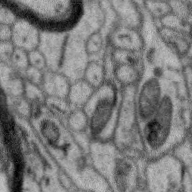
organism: Zebra finch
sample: Brain